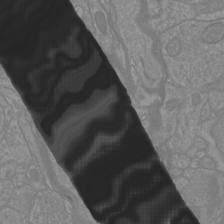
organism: Mouse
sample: Cortical neurons